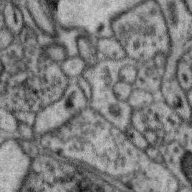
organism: Zebra finch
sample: Brain